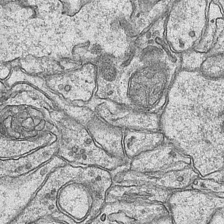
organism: Mouse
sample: CA1 Hippocampus